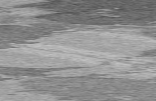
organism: C57BL Mouse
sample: Heart